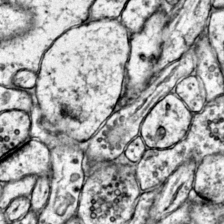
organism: Mouse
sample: Primary visual cortex